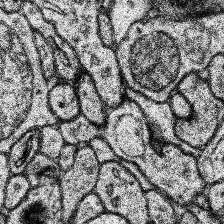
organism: Human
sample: Temporal Lobe